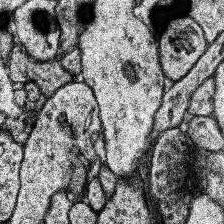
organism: Human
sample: Temporal Lobe